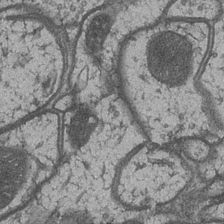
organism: Drosophila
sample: Optic medulla